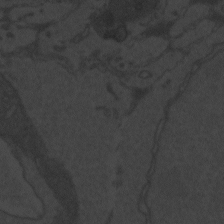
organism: Zebrafish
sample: Macrophage infected with Toxoplasma gondii